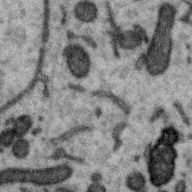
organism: Zebra finch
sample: Brain